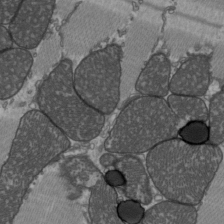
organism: C57BL Mouse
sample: Heart